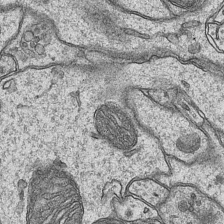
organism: Mouse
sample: CA1 Hippocampus